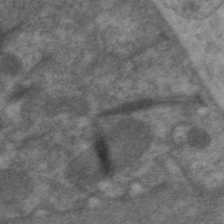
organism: C. elegans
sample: Pharynx